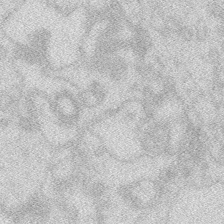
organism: Zebrafish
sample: Macrophage